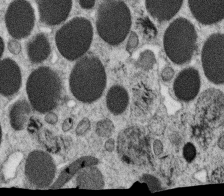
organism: C. elegans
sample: C. elegans oocyte; sperm cells